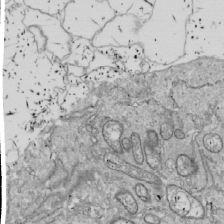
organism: Drosophila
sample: Cell division; meiosis; drosophila spermatocytes